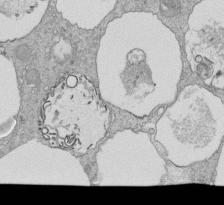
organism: Tetrahymena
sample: Cilia in tetrahymena